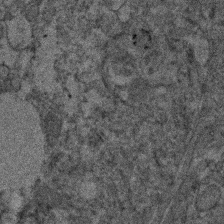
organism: Human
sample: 1205lu cells